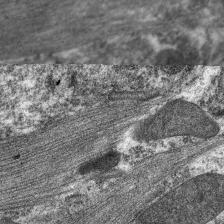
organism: C. elegans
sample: Pharynx